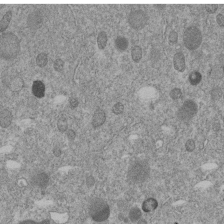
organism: C. elegans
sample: C. elegans embryo early stage